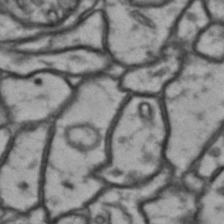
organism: Drosophila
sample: Brain